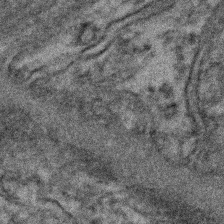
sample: Kidney